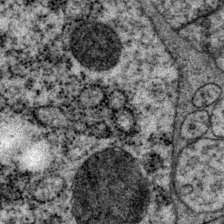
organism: P. pacificus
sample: Pharynx